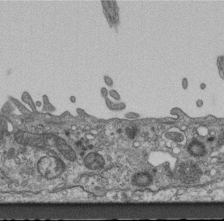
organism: Mouse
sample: Centriole in ependymal cells